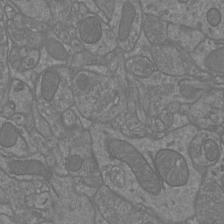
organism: Mouse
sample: Cortical neurons